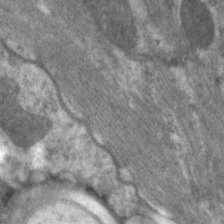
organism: C. elegans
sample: Pharynx